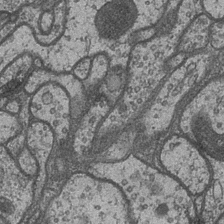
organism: Drosophila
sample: Optic medulla